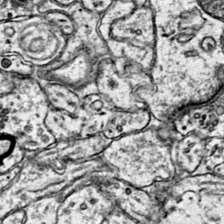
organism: Mouse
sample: Primary visual cortex